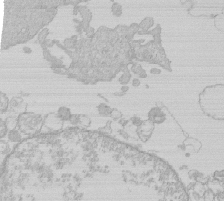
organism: Human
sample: Macrophage cells